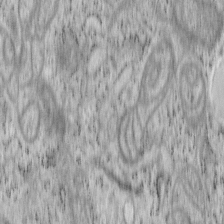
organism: Human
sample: HeLa cells